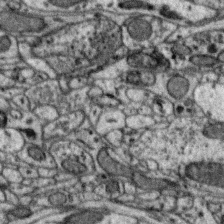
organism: Zebra finch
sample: Brain